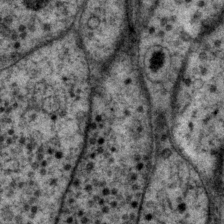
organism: P. pacificus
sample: Pharynx